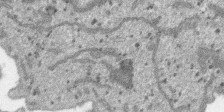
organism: Human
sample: Lung epithelial cells infected with SARS-CoV-2